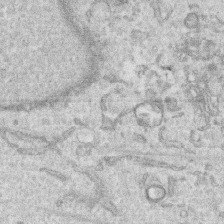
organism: Human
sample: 1205lu cells